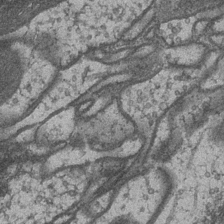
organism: Drosophila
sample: Optic medulla